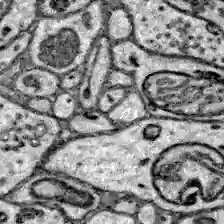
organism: Zebrafish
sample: Brain